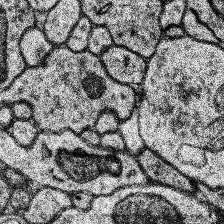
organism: Human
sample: Temporal Lobe